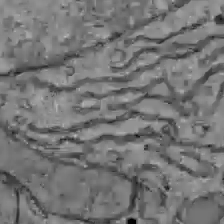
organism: C57BL Mouse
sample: Liver